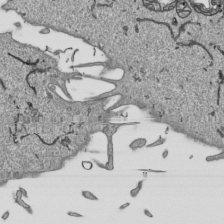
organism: Human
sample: Mitochondria in HCT116 cells